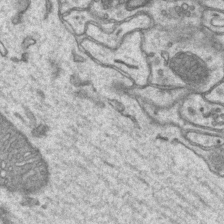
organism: Mouse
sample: CA1 Hippocampus